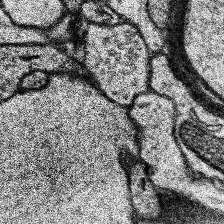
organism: Human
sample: Temporal Lobe